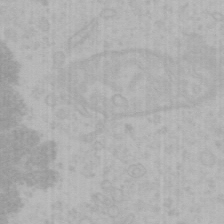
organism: Mouse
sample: Choroid plexus